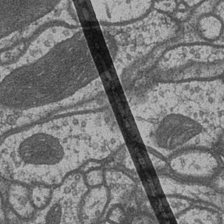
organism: Drosophila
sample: Optic medulla